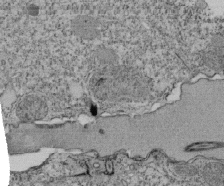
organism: Tetrahymena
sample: Cilia in tetrahymena